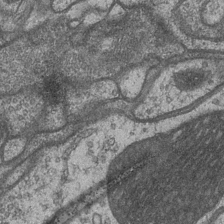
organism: Drosophila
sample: Optic medulla